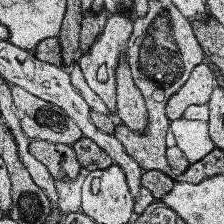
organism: Human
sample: Temporal Lobe